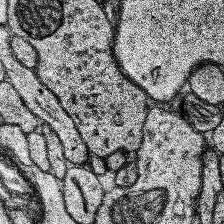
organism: Human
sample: Temporal Lobe